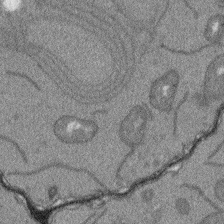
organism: Arabidopsis thaliana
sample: Root tip